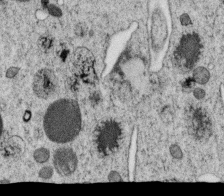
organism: C. elegans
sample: C. elegans oocyte; sperm cells